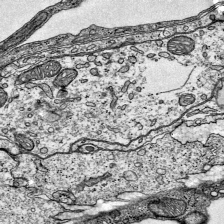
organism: Mouse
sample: Visual Cortex